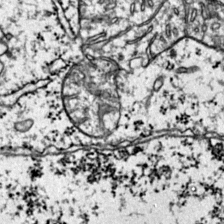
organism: Mouse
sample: Primary visual cortex